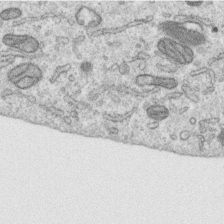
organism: Human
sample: Centriole in RPE cells